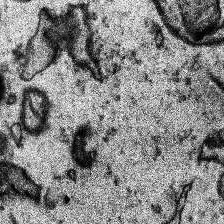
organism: Human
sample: Temporal Lobe